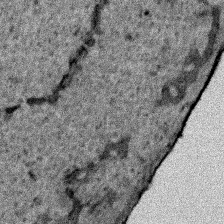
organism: Human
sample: Mitochondria in HCT116 cells